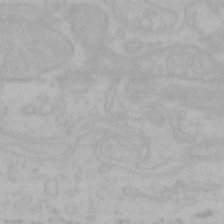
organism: Mouse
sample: Choroid plexus